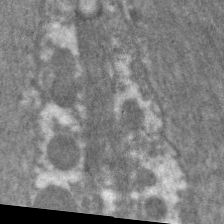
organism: C. elegans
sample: Pharynx